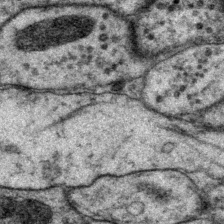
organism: P. pacificus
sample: Pharynx